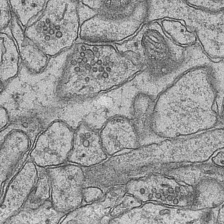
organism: Mouse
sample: CA1 Hippocampus